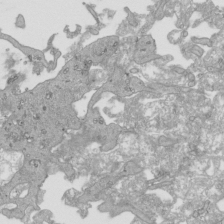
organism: Human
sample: Mitochondria in HCT116 cells